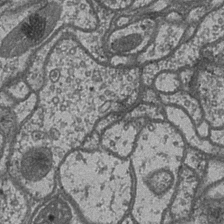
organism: Drosophila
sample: Optic medulla